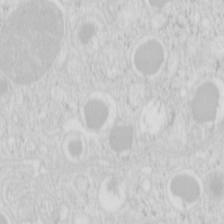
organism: Mouse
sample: Pancreas